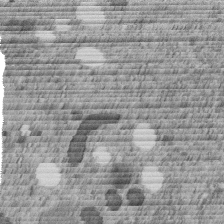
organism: C. elegans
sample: C. elegans embryo early stage